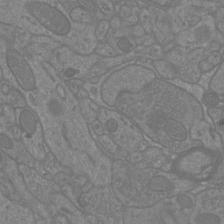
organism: Mouse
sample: Cortical neurons